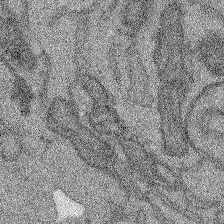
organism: Human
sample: HeLa cells